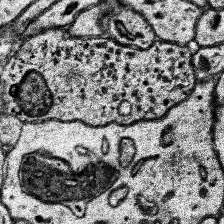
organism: Human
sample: Temporal Lobe